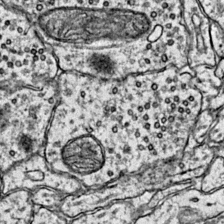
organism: Mouse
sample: Primary visual cortex